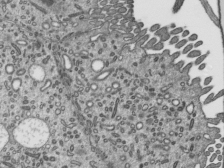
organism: Mouse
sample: Mouse epididymis efferent ductule cilia